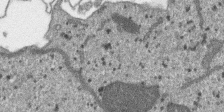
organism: Human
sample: Lung epithelial cells infected with SARS-CoV-2